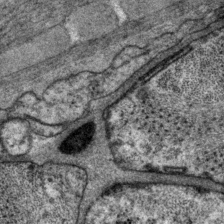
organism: P. pacificus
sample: Pharynx